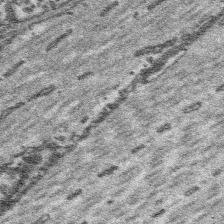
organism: Platynereis dumerilii